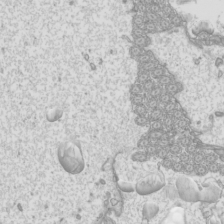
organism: Mouse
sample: Cilia; mouse epididymis